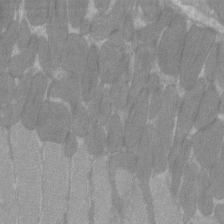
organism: C57BL Mouse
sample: Tibialis anterior muscle cell